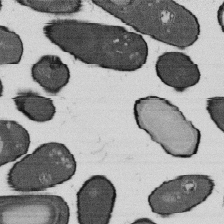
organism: B. subtilis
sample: Bacterial spore